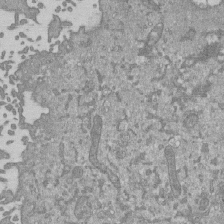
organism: Mouse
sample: ED-1 cell nuclei; centrioles